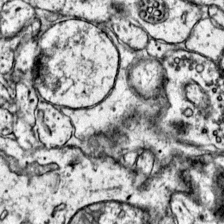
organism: Mouse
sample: Primary visual cortex